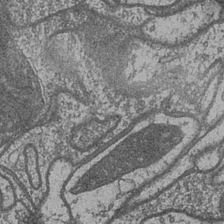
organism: Drosophila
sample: Optic medulla